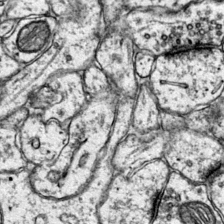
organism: Mouse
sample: Primary visual cortex